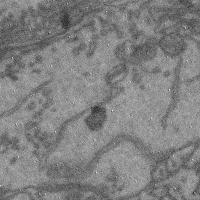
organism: Mouse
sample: Cerebral cortex